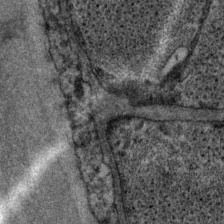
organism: P. pacificus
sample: Pharynx